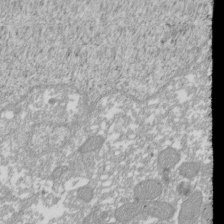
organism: Xenopus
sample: Cilia; centrioles in frog embryo cells